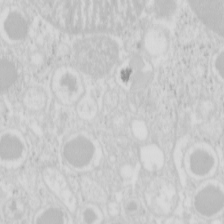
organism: Mouse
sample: Pancreas